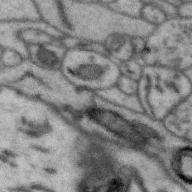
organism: Zebra finch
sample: Brain